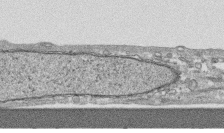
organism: Human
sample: CRL-1474